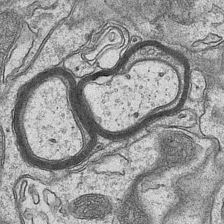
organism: Mouse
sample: CA1 Hippocampus